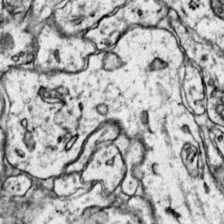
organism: Mouse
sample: Primary visual cortex